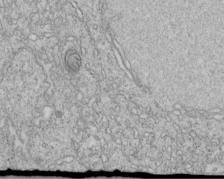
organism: C. elegans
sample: C. elegans embryo early stage